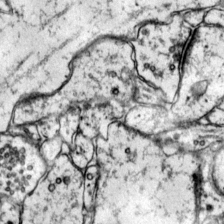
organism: Mouse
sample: Primary visual cortex